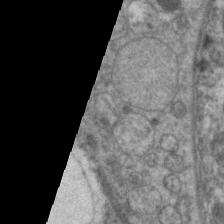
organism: C. elegans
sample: Pharynx